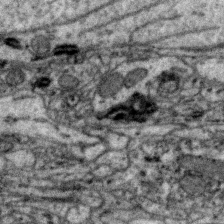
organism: Zebra finch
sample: Brain